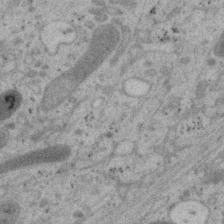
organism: Human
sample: HeLa cells